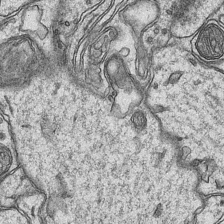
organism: Mouse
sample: CA1 Hippocampus